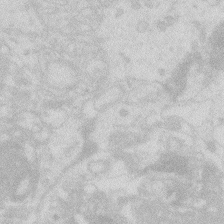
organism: Zebrafish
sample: Macrophage